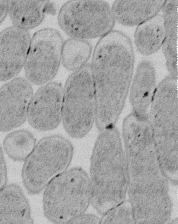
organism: E. coli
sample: Bacterial nucleoid